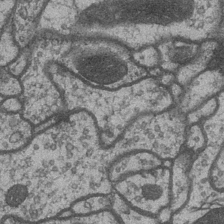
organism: Drosophila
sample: Optic medulla